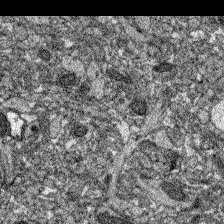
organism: Zebrafish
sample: Larval olfactory bulb